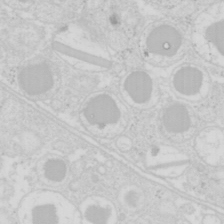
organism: Mouse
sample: Pancreas